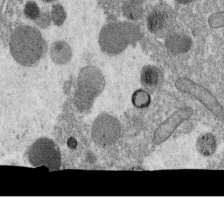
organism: C. elegans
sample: C. elegans oocyte; sperm cells